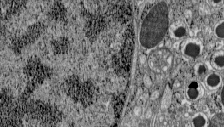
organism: C57BL Mouse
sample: Pancreatic islet